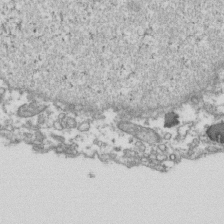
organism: Human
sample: Activated Jurkat CD4+ T cells